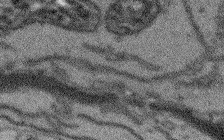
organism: Arabidopsis thaliana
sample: Root tip